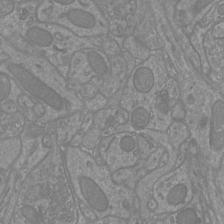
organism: Mouse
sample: Cortical neurons